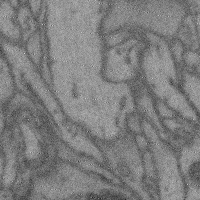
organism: Mouse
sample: Cerebral cortex